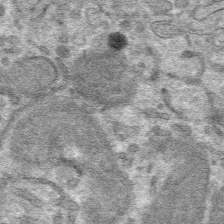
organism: Mouse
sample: Mouse hepatocytes